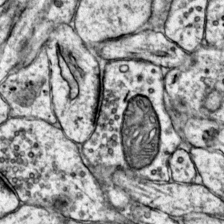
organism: Mouse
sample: Primary visual cortex